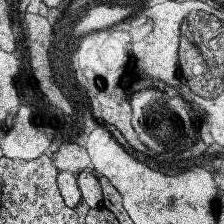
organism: Human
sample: Temporal Lobe